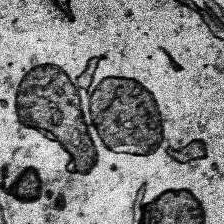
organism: Human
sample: Temporal Lobe